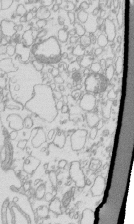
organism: Mouse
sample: Macrophages